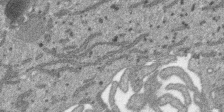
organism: Human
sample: Lung epithelial cells infected with SARS-CoV-2